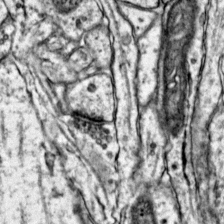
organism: Mouse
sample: Primary visual cortex